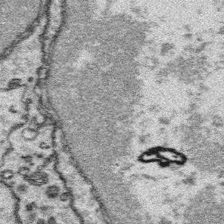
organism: Platynereis dumerilii